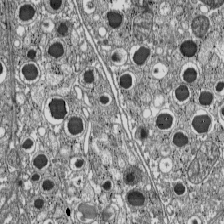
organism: C57BL Mouse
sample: Pancreatic islet